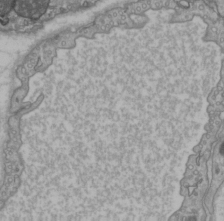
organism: C57BL Mouse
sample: Heart